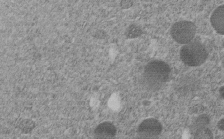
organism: C. elegans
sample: C. elegans embryo early stage